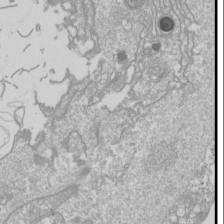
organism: Drosophila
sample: Cell division; meiosis; drosophila spermatocytes